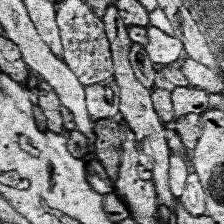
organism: Human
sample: Temporal Lobe